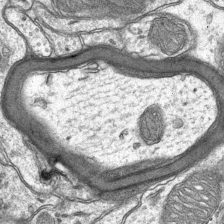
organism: Mouse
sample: CA1 Hippocampus